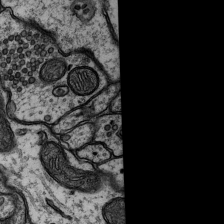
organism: Rat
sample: Hippocampus